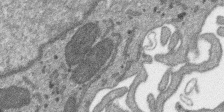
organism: Human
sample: Lung epithelial cells infected with SARS-CoV-2